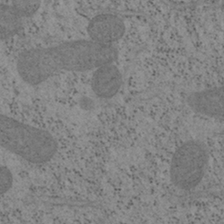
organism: Mouse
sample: OT-I killer T cells with ID8 ovarian cancer cells